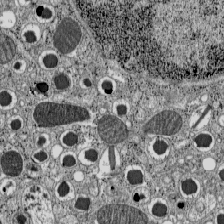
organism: C57BL Mouse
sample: Pancreatic islet